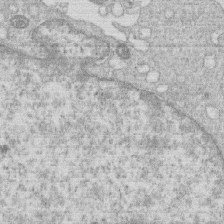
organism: Human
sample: Macrophage cells